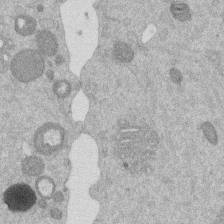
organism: Mouse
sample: Dividing mouse embryo 1 cell stage